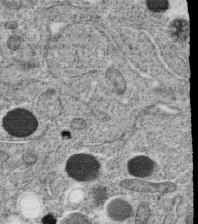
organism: C. elegans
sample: C. elegans oocyte; sperm cells